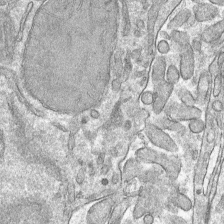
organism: Mouse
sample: Mouse hepatocytes